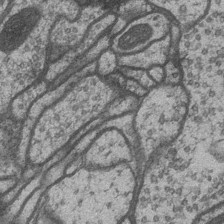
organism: Drosophila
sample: Optic medulla